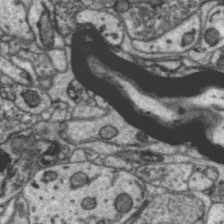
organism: Zebra finch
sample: Brain